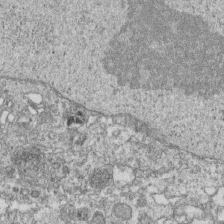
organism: Human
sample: HeLa cell HIV synapse